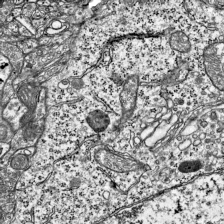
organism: Mouse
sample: Visual Cortex